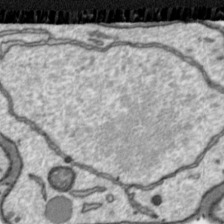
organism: Toxoplasma gondii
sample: Parasites in a vacuole inside a host cell